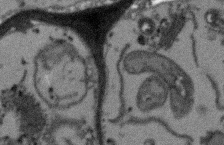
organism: Arabidopsis thaliana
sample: Root tip